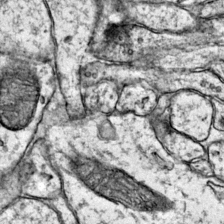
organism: Mouse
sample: Primary visual cortex